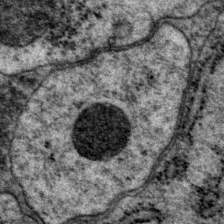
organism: P. pacificus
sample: Pharynx